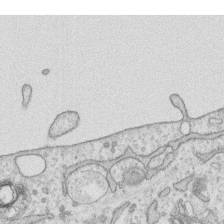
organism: Human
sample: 1205lu cells